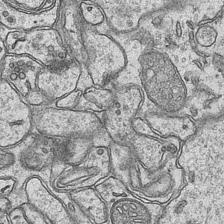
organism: Mouse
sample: CA1 Hippocampus